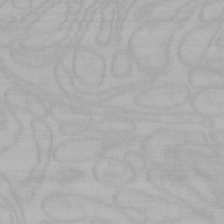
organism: Mouse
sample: Choroid plexus